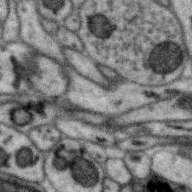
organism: Zebra finch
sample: Brain